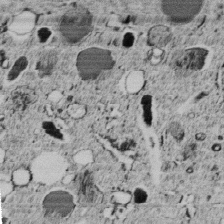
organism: C. elegans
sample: C. elegans embryo early stage